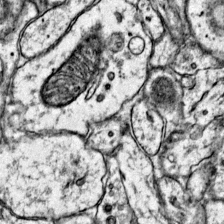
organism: Mouse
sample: Primary visual cortex